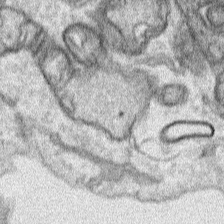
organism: Human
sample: Mitochondria in HCT116 cells